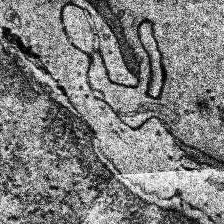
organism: Human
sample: Temporal Lobe